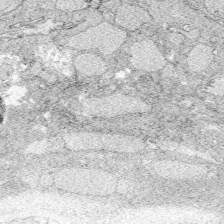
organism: Zebrafish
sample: Whole-Brain